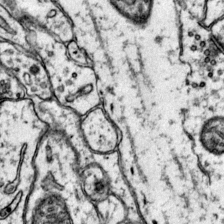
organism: Mouse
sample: Primary visual cortex